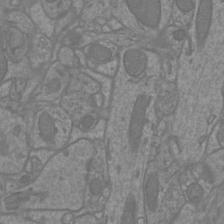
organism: Mouse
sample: Cortical neurons